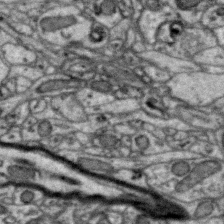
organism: Zebra finch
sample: Brain